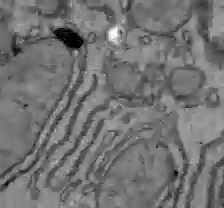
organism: C57BL Mouse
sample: Liver